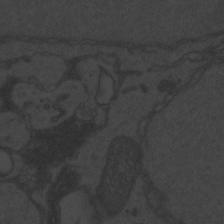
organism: Zebrafish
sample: Macrophage infected with Toxoplasma gondii